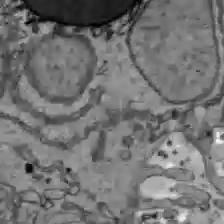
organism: C57BL Mouse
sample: Liver